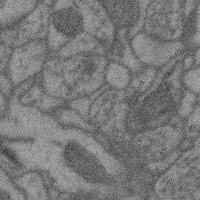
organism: Mouse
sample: Cerebral cortex